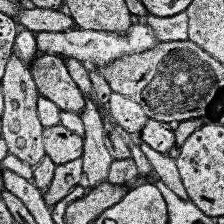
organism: Human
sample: Temporal Lobe